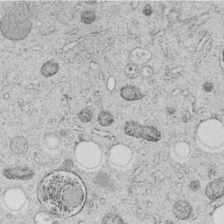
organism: C. elegans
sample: C. elegans embryo early stage